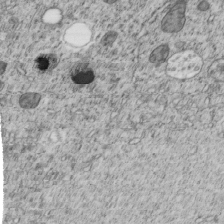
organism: C. elegans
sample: C. elegans embryo early stage